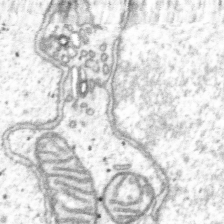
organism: Human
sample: HeLa cells